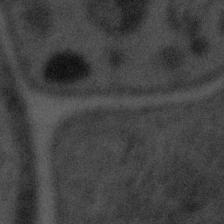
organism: Tuwongella immobilis